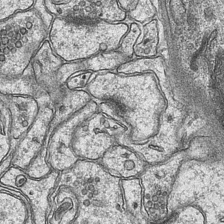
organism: Mouse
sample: CA1 Hippocampus